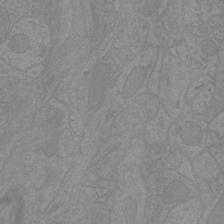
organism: Mouse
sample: Cortical neurons